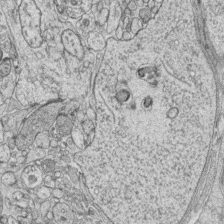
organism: Zebrafish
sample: synaptic ribbons in rod cells and cone cells